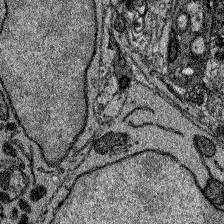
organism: Zebrafish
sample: Larval olfactory bulb